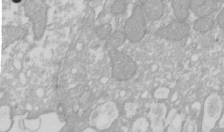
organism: Xenopus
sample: Cilia; centrioles in frog embryo cells